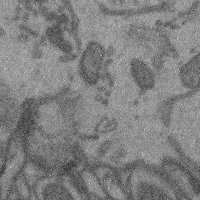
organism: Mouse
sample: Cerebral cortex